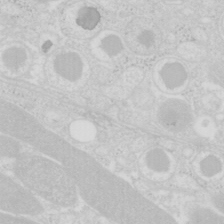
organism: Mouse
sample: Pancreas